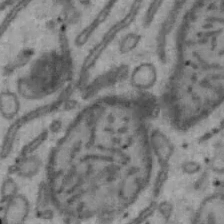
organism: Mouse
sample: Liver